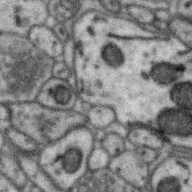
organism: Zebra finch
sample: Brain